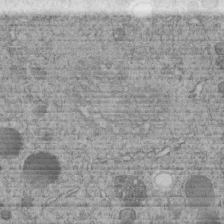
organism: C. elegans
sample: C. elegans embryo early stage